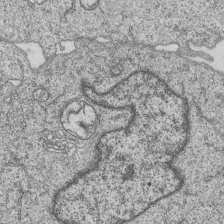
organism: Human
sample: MDA-MB-231 cells